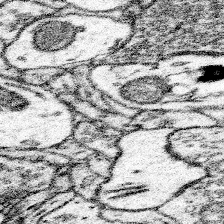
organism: Mouse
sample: Somatosensory cortex neuropil